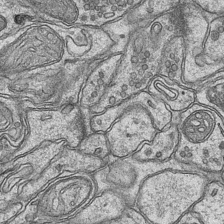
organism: Mouse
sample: CA1 Hippocampus